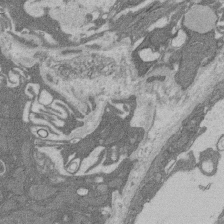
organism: Rat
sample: Salivary granule